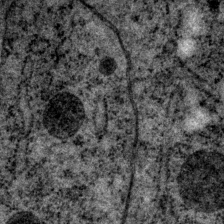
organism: P. pacificus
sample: Pharynx